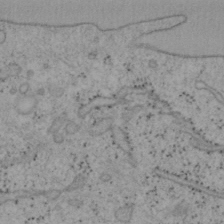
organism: Human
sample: HeLa cells